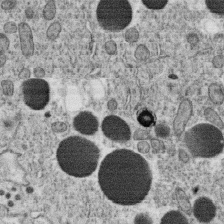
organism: C. elegans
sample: C. elegans oocyte; sperm cells